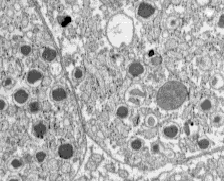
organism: C57BL Mouse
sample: Pancreatic islet